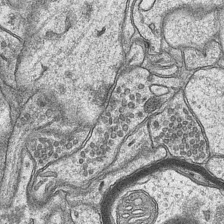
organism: Mouse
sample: CA1 Hippocampus